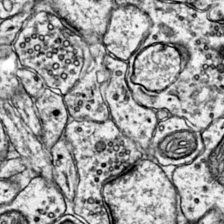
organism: Mouse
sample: Primary visual cortex